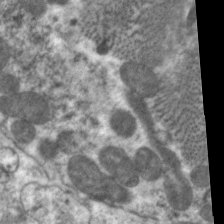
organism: C. elegans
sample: Pharynx